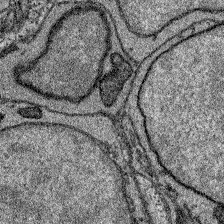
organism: Zebrafish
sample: Larval olfactory bulb